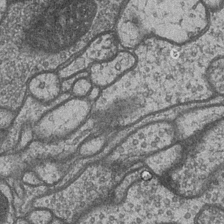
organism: Drosophila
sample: Optic medulla